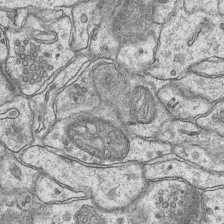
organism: Mouse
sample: CA1 Hippocampus